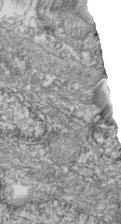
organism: Zebrafish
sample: Cilia; retinal pigment epithelium